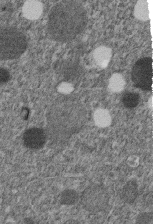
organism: C. elegans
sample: C. elegans embryo early stage